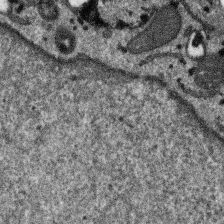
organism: Human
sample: Lung epithelial cells infected with SARS-CoV-2